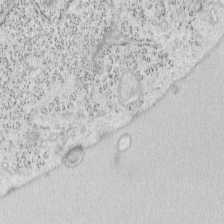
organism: Mouse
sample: OT-I killer T cells with ID8 ovarian cancer cells